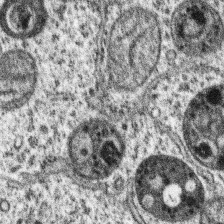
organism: Human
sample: HeLa cells